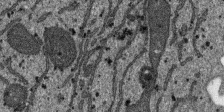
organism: Human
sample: Lung epithelial cells infected with SARS-CoV-2